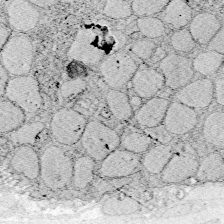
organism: Zebrafish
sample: Whole-Brain